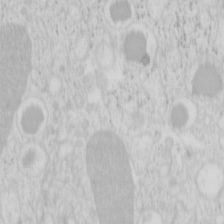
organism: Mouse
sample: Pancreas